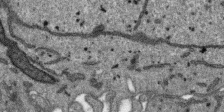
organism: Human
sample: Lung epithelial cells, uninfected (mock) control